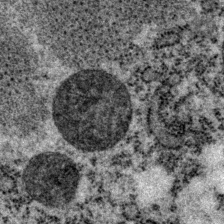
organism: P. pacificus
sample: Pharynx